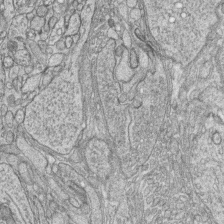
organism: Zebrafish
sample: synaptic ribbons in rod cells and cone cells